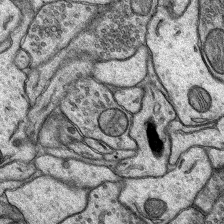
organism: Rat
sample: Hippocampus